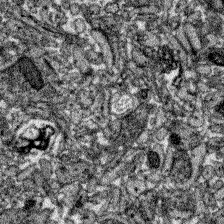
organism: Zebrafish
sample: Larval olfactory bulb